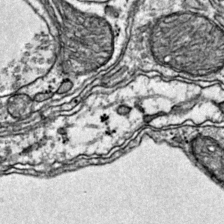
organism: Mouse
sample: Primary visual cortex